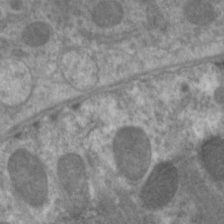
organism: C. elegans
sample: Pharynx